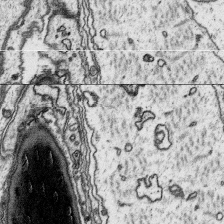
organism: Platynereis dumerilii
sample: Parapodia